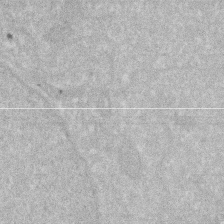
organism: Human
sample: HIV infected U937 cells